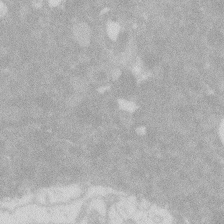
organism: Zebrafish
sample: Macrophage